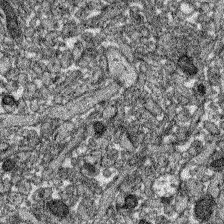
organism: Zebrafish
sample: Larval olfactory bulb